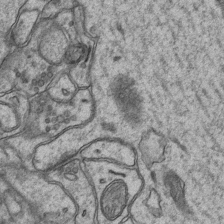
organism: Mouse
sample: CA1 Hippocampus